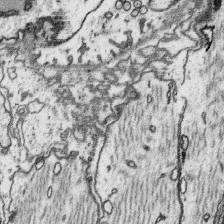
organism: Platynereis dumerilii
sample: Parapodia